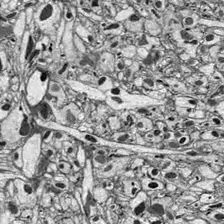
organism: Drosophila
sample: Optic lobe